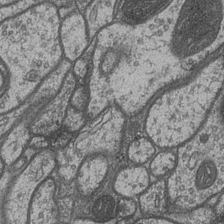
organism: Drosophila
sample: Optic medulla